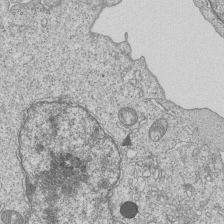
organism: Human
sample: MDA-MB-231 cells